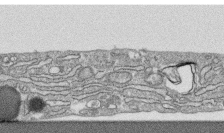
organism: Human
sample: CRL-1474